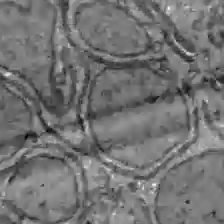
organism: C57BL Mouse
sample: Liver